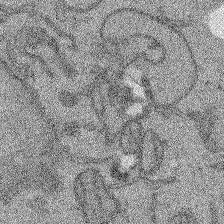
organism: Human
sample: HeLa cells